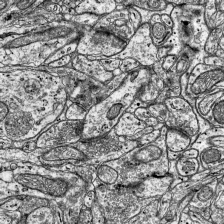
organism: Mouse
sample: Visual Cortex